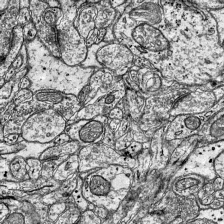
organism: Mouse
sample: Visual Cortex